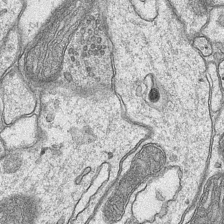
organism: Mouse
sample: CA1 Hippocampus